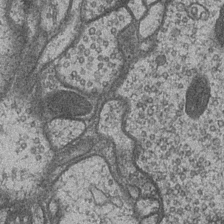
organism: Drosophila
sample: Optic medulla